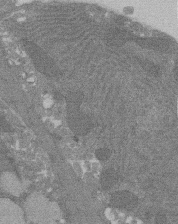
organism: Rat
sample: Salivary granule